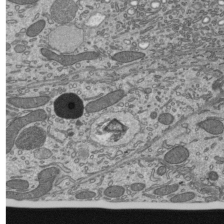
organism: Mouse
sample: Mouse epididymis efferent ductule cilia